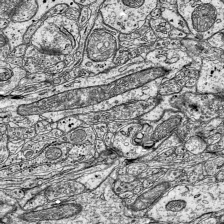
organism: Mouse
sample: Visual Cortex